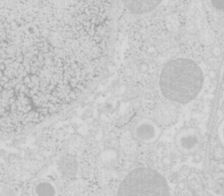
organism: Mouse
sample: Pancreas